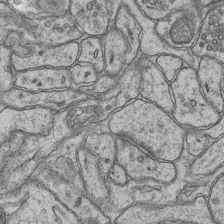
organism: Mouse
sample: CA1 Hippocampus